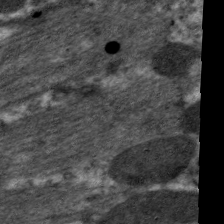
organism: C. elegans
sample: Pharynx